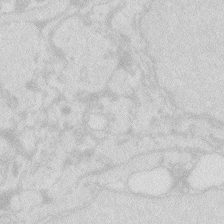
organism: Zebrafish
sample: Macrophage